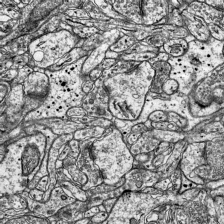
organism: Mouse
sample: Visual Cortex